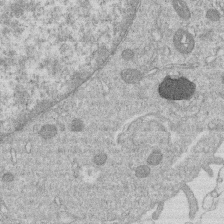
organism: Human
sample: Macrophage cells